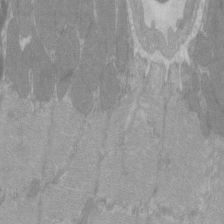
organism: C57BL Mouse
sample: Tibialis anterior muscle cell